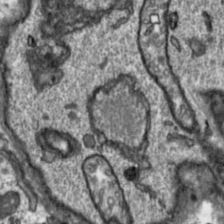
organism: Toxoplasma gondii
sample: Parasites in a vacuole inside a host cell